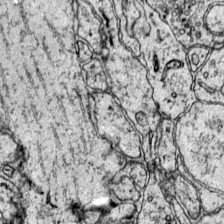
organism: Mouse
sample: Primary visual cortex